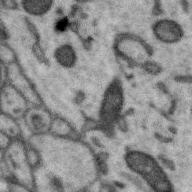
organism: Zebra finch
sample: Brain